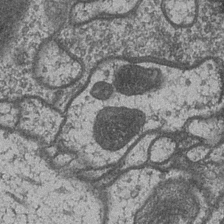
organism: Drosophila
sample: Optic medulla